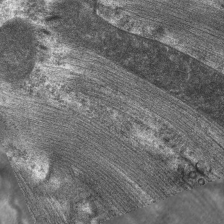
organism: C. elegans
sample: Pharynx